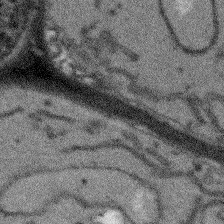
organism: Arabidopsis thaliana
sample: Root tip